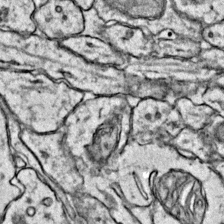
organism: Mouse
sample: Primary visual cortex